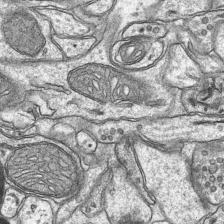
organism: Mouse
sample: CA1 Hippocampus